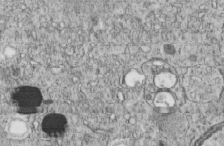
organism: C. elegans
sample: C. elegans embryo early stage